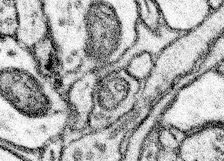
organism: Mouse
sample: Somatosensory cortex neuropil